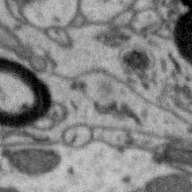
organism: Zebra finch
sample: Brain